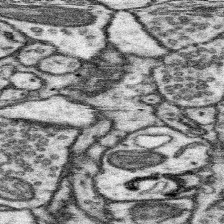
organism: Mouse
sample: Somatosensory cortex neuropil